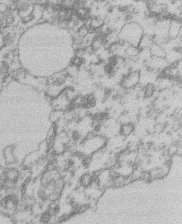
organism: Mouse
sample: T cell stromal cell synapse